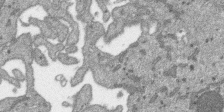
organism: Human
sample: Lung epithelial cells infected with SARS-CoV-2